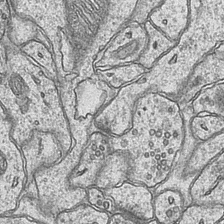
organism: Mouse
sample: CA1 Hippocampus